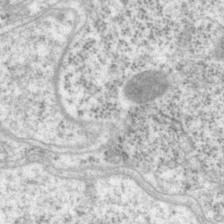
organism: P. pacificus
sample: Pharynx